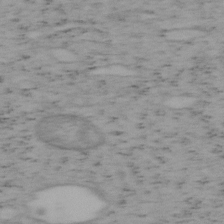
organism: Mouse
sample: OT-I killer T cells with ID8 ovarian cancer cells